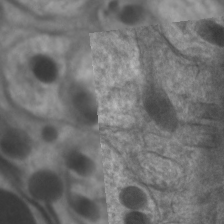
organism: C. elegans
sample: Pharynx